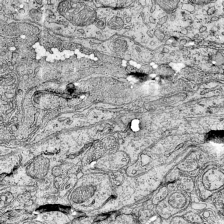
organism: Mouse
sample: Visual Cortex